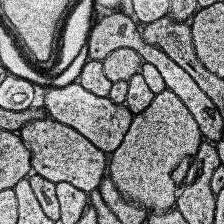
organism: Human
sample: Temporal Lobe